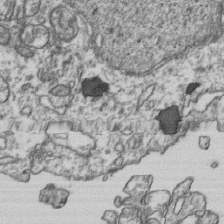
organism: Human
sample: Activated Jurkat CD4+ T cells